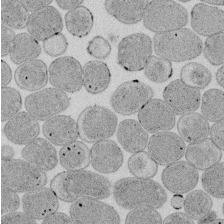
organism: E. coli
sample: Bacterial nucleoid